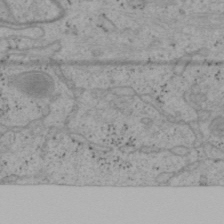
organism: Human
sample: HeLa cells